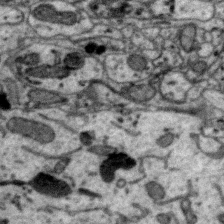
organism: Zebra finch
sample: Brain